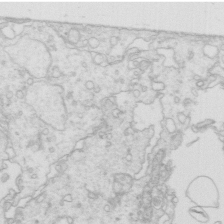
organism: Mouse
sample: Multiciliated cells